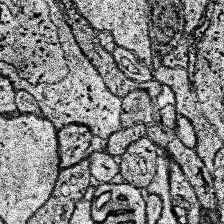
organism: Human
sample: Temporal Lobe